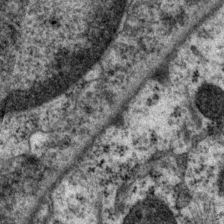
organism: P. pacificus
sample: Pharynx